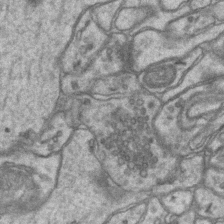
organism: Mouse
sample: CA1 Hippocampus